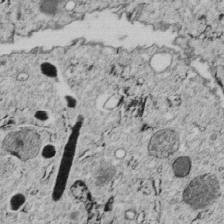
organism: C. elegans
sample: C. elegans embryo early stage